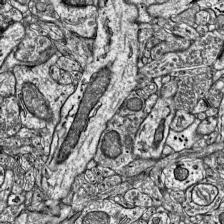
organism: Mouse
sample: Visual Cortex